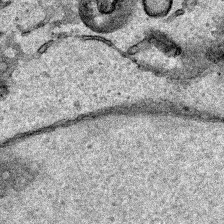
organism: Human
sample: Mitochondria in HCT116 cells